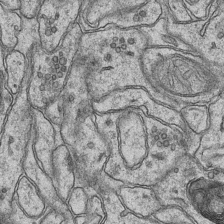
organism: Mouse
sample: CA1 Hippocampus